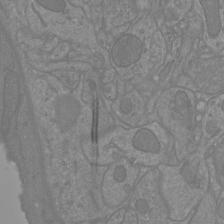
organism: Mouse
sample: Cortical neurons